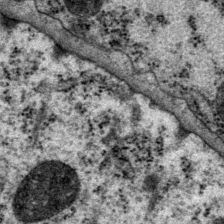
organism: P. pacificus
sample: Pharynx